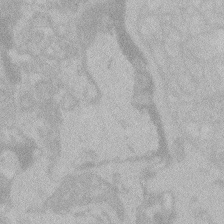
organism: Zebrafish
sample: Macrophage infected with Toxoplasma gondii